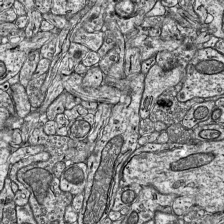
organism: Mouse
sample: Visual Cortex